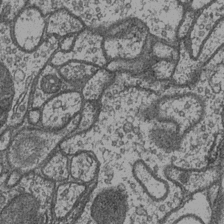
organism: Drosophila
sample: Optic medulla